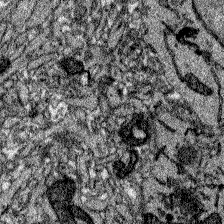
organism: Zebrafish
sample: Larval olfactory bulb